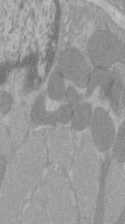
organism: C57BL Mouse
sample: Tibialis anterior muscle cell